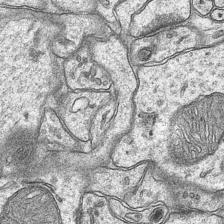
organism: Mouse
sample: CA1 Hippocampus